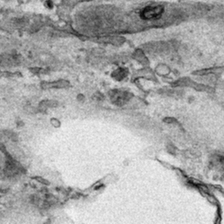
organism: Human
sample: Mitochondria in HCT116 cells